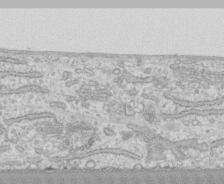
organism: Human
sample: CRL-1474